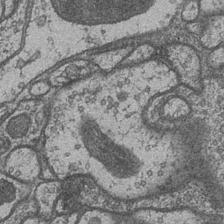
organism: Drosophila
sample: Optic medulla